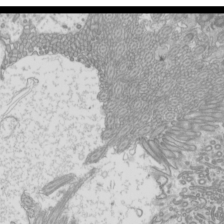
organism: Mouse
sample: Cilia; mouse epididymis